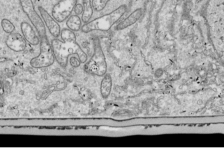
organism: Drosophila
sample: Cell division; meiosis; drosophila spermatocytes